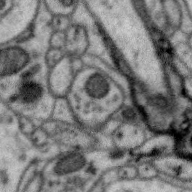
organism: Zebra finch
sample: Brain